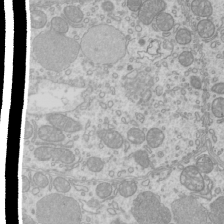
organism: Mouse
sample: Cilia; mouse epididymis